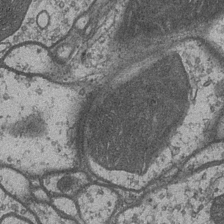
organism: Drosophila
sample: Optic medulla